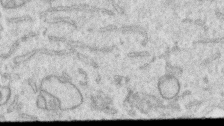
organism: Human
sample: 1205lu cells